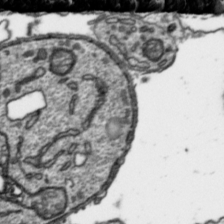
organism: Toxoplasma gondii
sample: Parasites in a vacuole inside a host cell